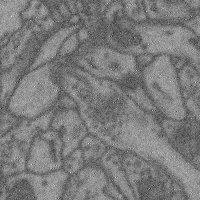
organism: Mouse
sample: Cerebral cortex